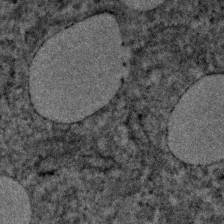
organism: Human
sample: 1205lu cells